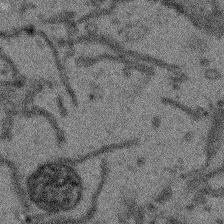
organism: Arabidopsis thaliana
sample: Root tip